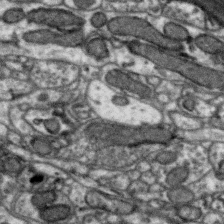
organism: Zebra finch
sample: Brain